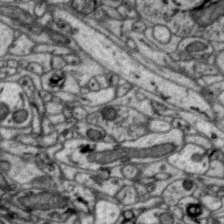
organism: Zebra finch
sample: Brain